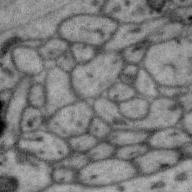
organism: Zebra finch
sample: Brain